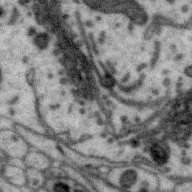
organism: Zebra finch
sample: Brain